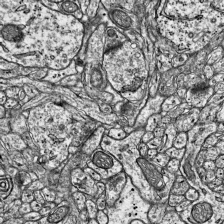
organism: Mouse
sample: Visual Cortex